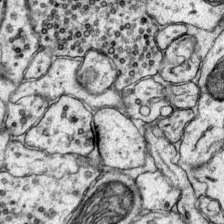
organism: Mouse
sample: Primary visual cortex